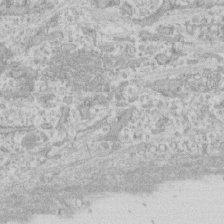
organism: Human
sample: CRL-1474